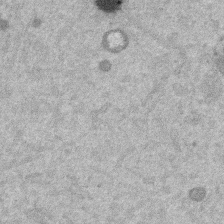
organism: Mouse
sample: Dividing mouse embryo 1 cell stage